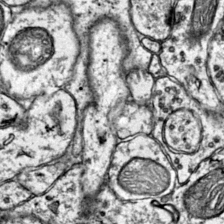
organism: Mouse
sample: Primary visual cortex